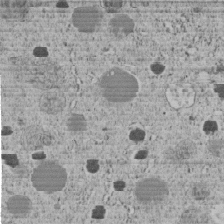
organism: C. elegans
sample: C. elegans embryo early stage